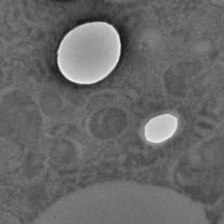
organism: C. elegans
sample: C. elegans embryo